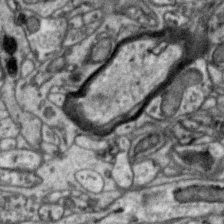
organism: Zebra finch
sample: Brain